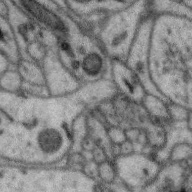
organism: Zebra finch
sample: Brain